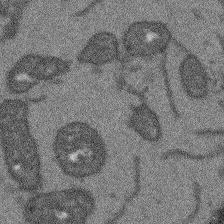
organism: Arabidopsis thaliana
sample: Root tip